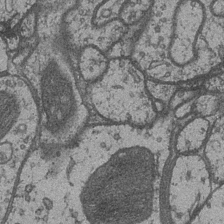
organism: Drosophila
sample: Optic medulla